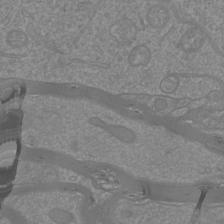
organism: Mouse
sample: Cortical neurons